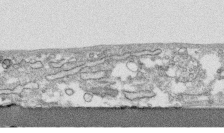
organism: Human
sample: CRL-1474